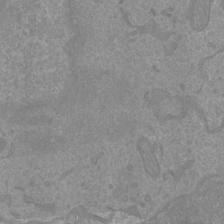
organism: Mouse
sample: Cortical neurons